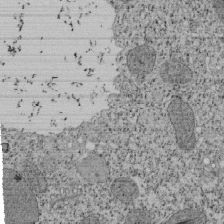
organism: Tetrahymena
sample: Cilia in tetrahymena